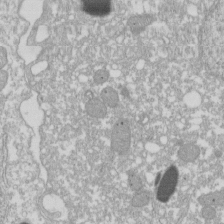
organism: Xenopus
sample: Cilia; centrioles in frog embryo cells